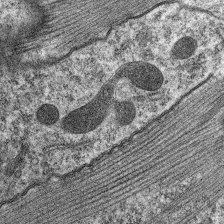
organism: C. elegans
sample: Pharynx